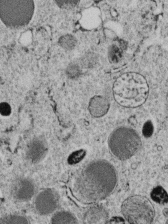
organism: C. elegans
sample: C. elegans embryo early stage